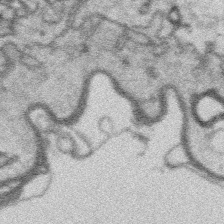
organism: Platynereis dumerilii